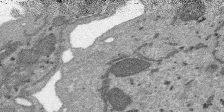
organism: Human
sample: Lung epithelial cells infected with SARS-CoV-2